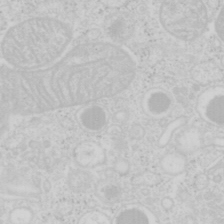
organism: Mouse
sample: Pancreas